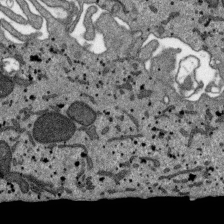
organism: Human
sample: Lung epithelial cells, uninfected (mock) control